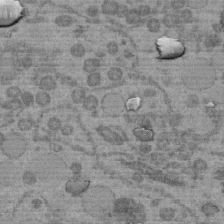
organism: C. elegans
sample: C. elegans embryo early stage